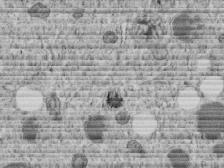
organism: C. elegans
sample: C. elegans embryo early stage